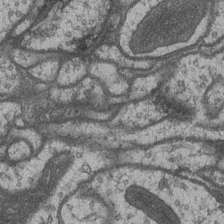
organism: Drosophila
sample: Optic medulla